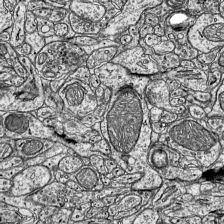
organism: Mouse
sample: Visual Cortex